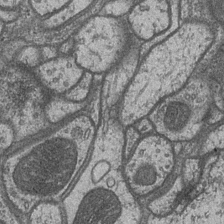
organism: Drosophila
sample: Optic medulla